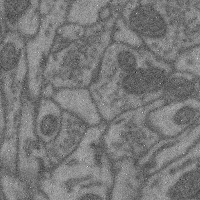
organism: Mouse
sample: Cerebral cortex